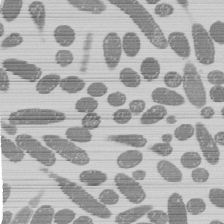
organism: E. coli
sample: Bacterial nucleoid